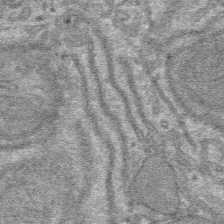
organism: Mouse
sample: Mouse hepatocytes